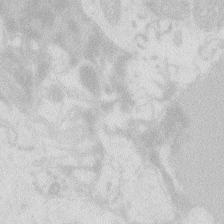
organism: Zebrafish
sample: Macrophage